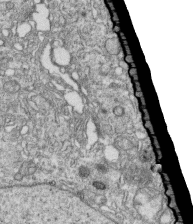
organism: Human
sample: HeLa cell HIV synapse